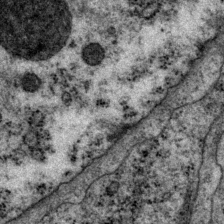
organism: P. pacificus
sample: Pharynx